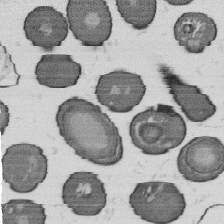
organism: B. subtilis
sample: Bacterial spore